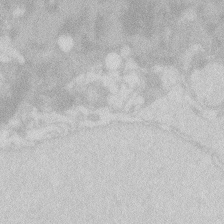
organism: Zebrafish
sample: Macrophage